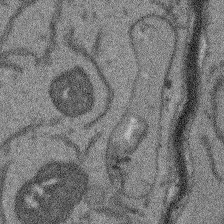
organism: Arabidopsis thaliana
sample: Root tip